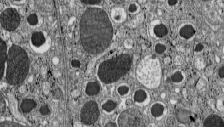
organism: C57BL Mouse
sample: Pancreatic islet